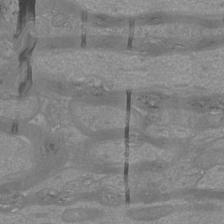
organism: Mouse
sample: Cortical neurons